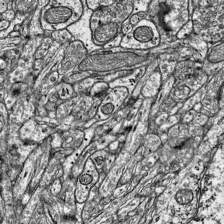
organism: Mouse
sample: Visual Cortex